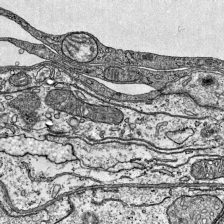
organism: Mouse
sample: Visual Cortex